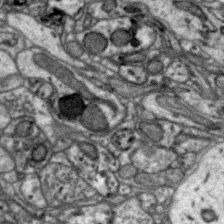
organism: Zebra finch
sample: Brain